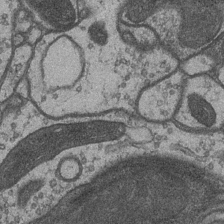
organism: Drosophila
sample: Optic medulla